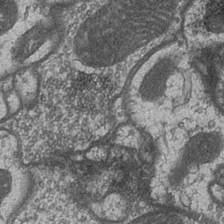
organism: Drosophila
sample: Optic medulla